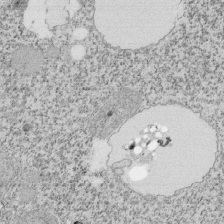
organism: Tetrahymena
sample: Cilia in tetrahymena